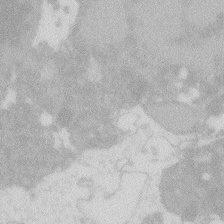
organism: Zebrafish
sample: Macrophage